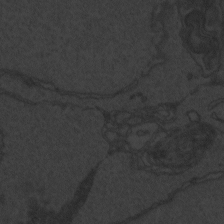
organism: Zebrafish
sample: Macrophage infected with Toxoplasma gondii